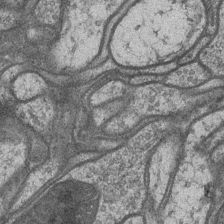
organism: Drosophila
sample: Optic medulla